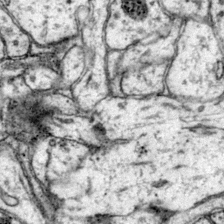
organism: Mouse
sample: Primary visual cortex